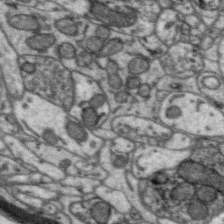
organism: Zebra finch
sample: Brain